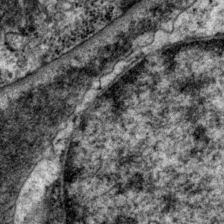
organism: P. pacificus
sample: Pharynx